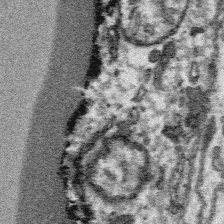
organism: Platynereis dumerilii